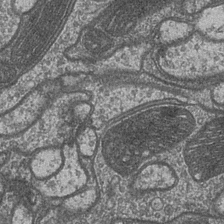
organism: Drosophila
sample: Optic medulla